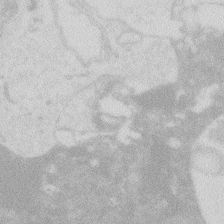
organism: Zebrafish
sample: Macrophage